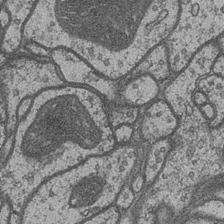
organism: Drosophila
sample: Optic medulla